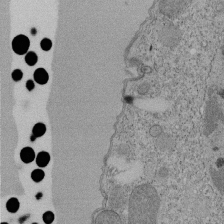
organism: Tetrahymena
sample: Cilia in tetrahymena